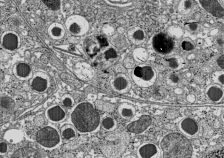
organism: C57BL Mouse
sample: Pancreatic islet